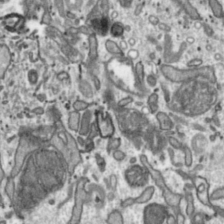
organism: Toxoplasma gondii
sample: Parasites in a vacuole inside a host cell